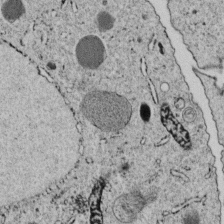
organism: C. elegans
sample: C. elegans embryo early stage